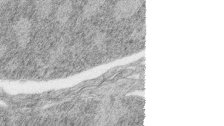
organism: Zebrafish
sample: synaptic ribbons in rod cells and cone cells